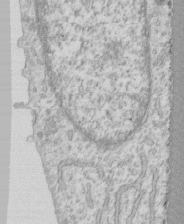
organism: Human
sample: CRL-1474